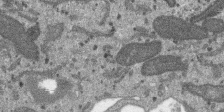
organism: Human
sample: Lung epithelial cells infected with SARS-CoV-2